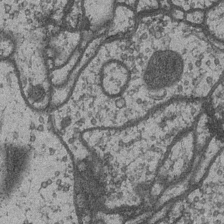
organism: Drosophila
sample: Optic medulla